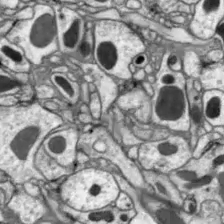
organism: Drosophila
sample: Optic lobe